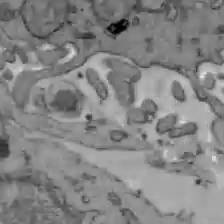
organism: C57BL Mouse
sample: Liver